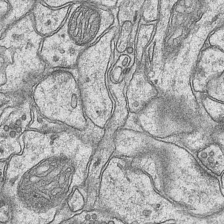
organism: Mouse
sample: CA1 Hippocampus